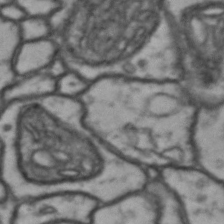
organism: Drosophila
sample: Brain